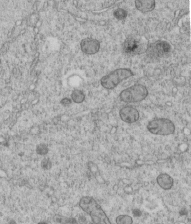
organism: C. elegans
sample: C. elegans embryo early stage